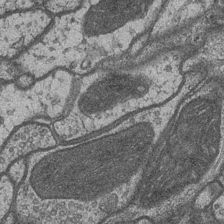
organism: Drosophila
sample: Optic medulla